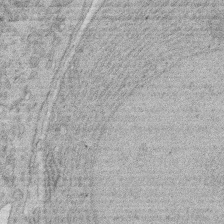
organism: Rat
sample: Salivary granule